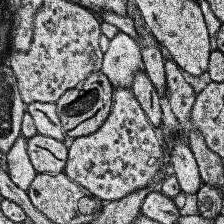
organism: Human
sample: Temporal Lobe